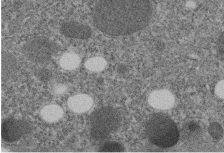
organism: C. elegans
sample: C. elegans embryo early stage